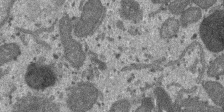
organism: Human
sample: Lung epithelial cells infected with SARS-CoV-2